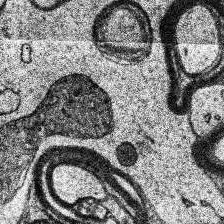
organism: Human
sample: Temporal Lobe